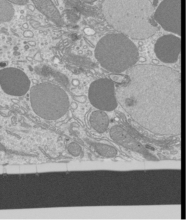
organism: Mouse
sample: Cilia; mouse epididymis